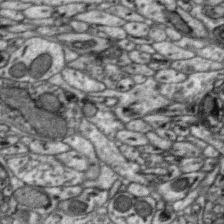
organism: Zebra finch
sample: Brain